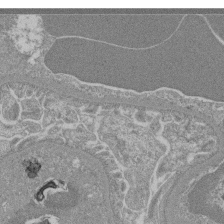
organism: Mouse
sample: Glomerulus